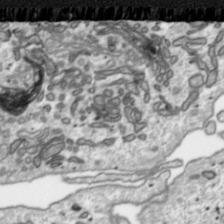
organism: Toxoplasma gondii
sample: Parasites in a vacuole inside a host cell